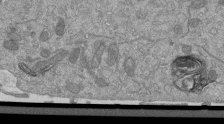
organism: Mouse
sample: ED-1 cell nuclei; centrioles